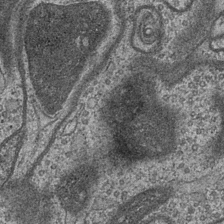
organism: Drosophila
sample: Optic medulla